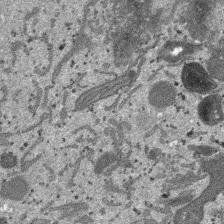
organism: Human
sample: Lung epithelial cells infected with SARS-CoV-2